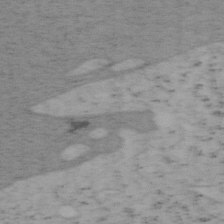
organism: Mouse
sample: OT-I killer T cells with ID8 ovarian cancer cells